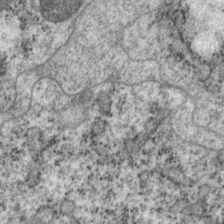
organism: P. pacificus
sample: Pharynx